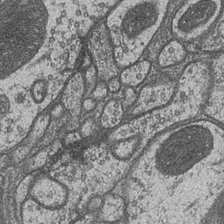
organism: Drosophila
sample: Optic medulla